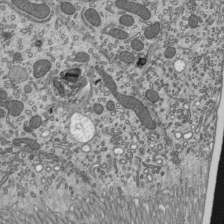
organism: Mouse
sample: Mouse epididymis efferent ductule cilia